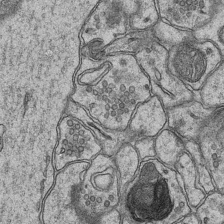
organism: Mouse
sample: CA1 Hippocampus